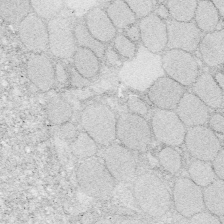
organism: Zebrafish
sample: Whole-Brain